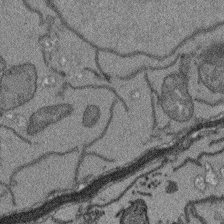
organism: Arabidopsis thaliana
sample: Root tip